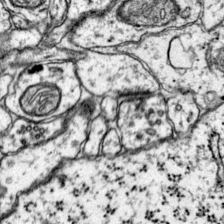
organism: Mouse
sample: Primary visual cortex